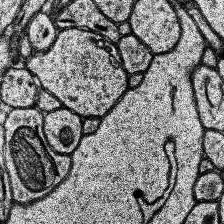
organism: Human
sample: Temporal Lobe